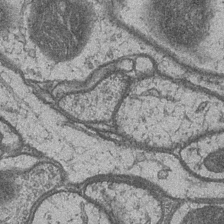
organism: Drosophila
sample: Optic medulla